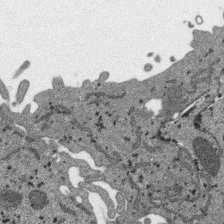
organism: Human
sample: Lung epithelial cells infected with SARS-CoV-2